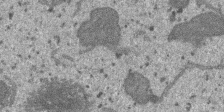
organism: Human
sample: Lung epithelial cells infected with SARS-CoV-2